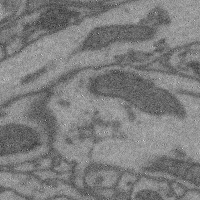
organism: Mouse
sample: Cerebral cortex